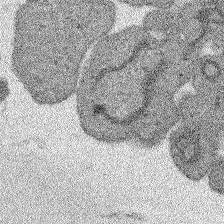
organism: Human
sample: HeLa cells